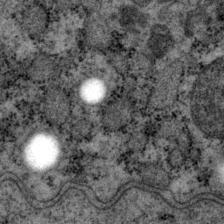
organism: P. pacificus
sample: Pharynx